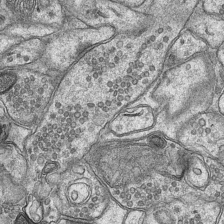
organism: Mouse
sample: CA1 Hippocampus